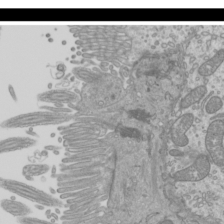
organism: Mouse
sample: Cilia; mouse epididymis